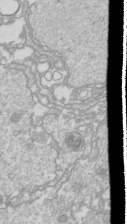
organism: Drosophila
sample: Cell division; meiosis; drosophila spermatocytes